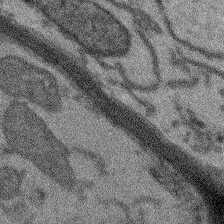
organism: Arabidopsis thaliana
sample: Root tip